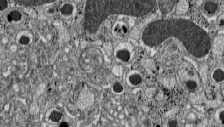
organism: C57BL Mouse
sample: Pancreatic islet